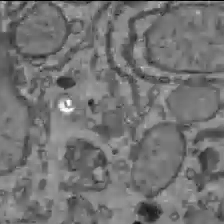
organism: C57BL Mouse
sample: Liver